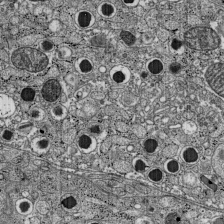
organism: C57BL Mouse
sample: Pancreatic islet